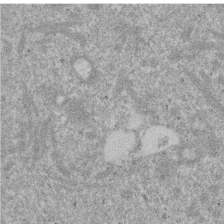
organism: Mouse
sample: Dividing mouse embryo 1 cell stage